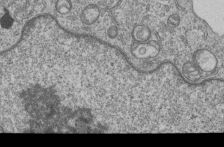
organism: Human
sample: MDA-MB-231 cells